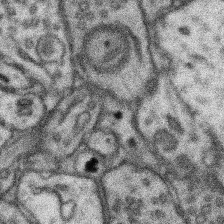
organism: Mouse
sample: Somatosensory cortex neuropil